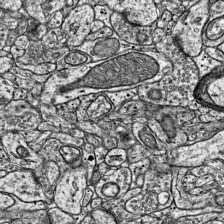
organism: Mouse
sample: Visual Cortex